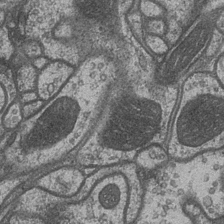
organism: Drosophila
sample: Optic medulla